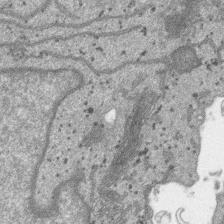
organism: Human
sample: Lung epithelial cells infected with SARS-CoV-2